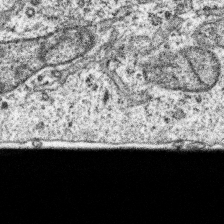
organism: Human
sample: HeLa cells